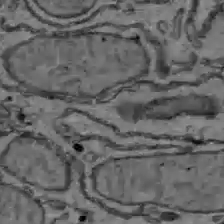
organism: C57BL Mouse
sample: Liver